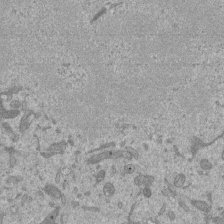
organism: Mouse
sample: ED-1 cell nuclei; centrioles